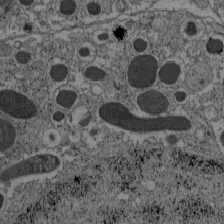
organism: C57BL Mouse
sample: Pancreatic islet